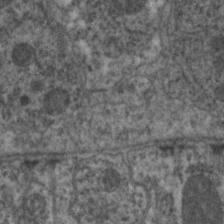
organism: C. elegans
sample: Pharynx